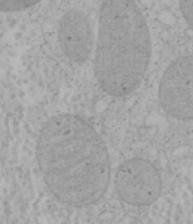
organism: Mouse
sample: OT-I killer T cells with ID8 ovarian cancer cells